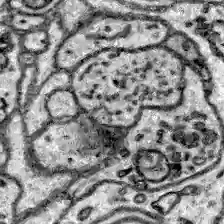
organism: Zebrafish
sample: Brain